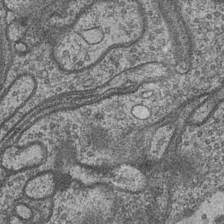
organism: Drosophila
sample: Optic medulla